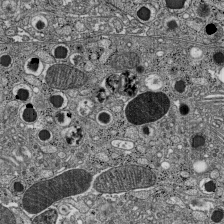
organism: C57BL Mouse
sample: Pancreatic islet